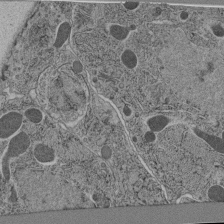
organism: C. elegans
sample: C. elegans pharynx